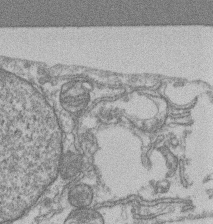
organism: Mouse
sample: T cell stromal cell synapse